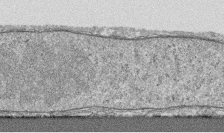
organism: Human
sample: CRL-1474